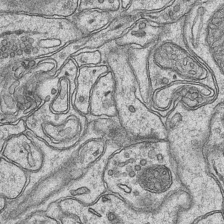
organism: Mouse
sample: CA1 Hippocampus